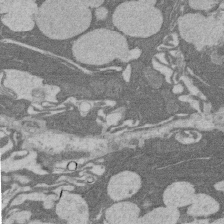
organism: Rat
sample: Salivary granule